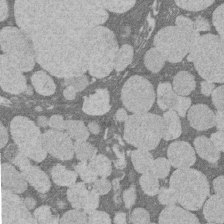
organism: Rat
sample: Salivary granule